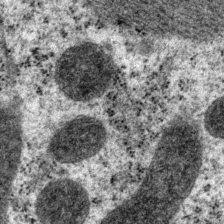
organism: P. pacificus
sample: Pharynx